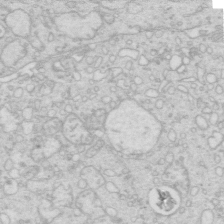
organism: Mouse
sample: Multiciliated cells